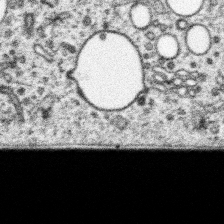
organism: Human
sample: HeLa cells